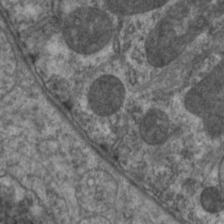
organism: C. elegans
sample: Pharynx